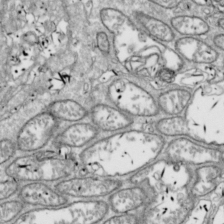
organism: Drosophila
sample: Cell division; meiosis; drosophila spermatocytes